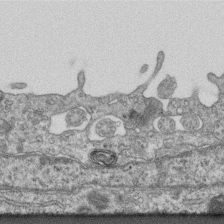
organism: Mouse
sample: Centriole in ependymal cells